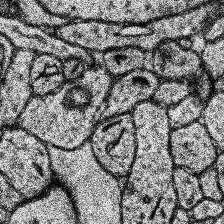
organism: Human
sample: Temporal Lobe